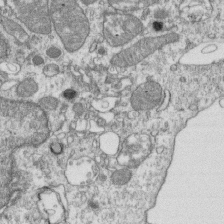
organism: Mouse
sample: Activated OT-1 CD8+ T cells